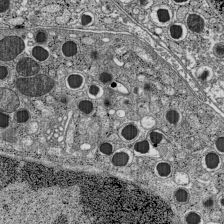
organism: C57BL Mouse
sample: Pancreatic islet